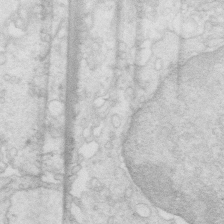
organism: Mouse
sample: Multiciliated cells